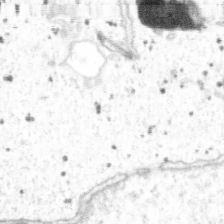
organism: Human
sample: HeLa cells